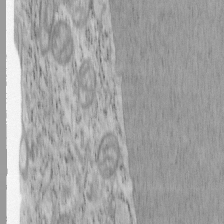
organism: Human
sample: HeLa cells